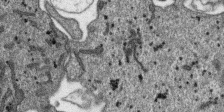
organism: Human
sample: Lung epithelial cells infected with SARS-CoV-2